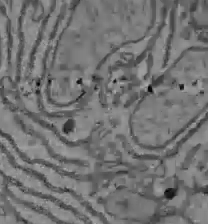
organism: C57BL Mouse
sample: Liver